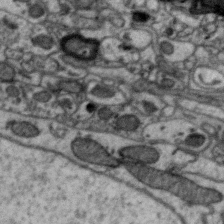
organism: Zebra finch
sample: Brain